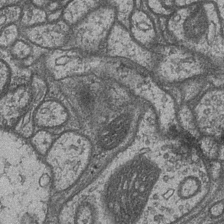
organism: Drosophila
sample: Optic medulla